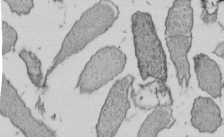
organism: E. coli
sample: Bacterial nucleoid